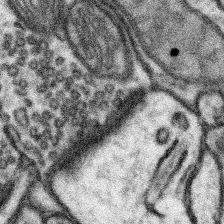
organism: Mouse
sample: Somatosensory cortex neuropil